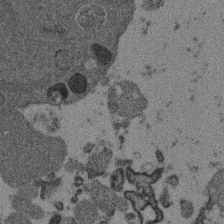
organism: Mouse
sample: Dividing mouse embryo 1 cell stage